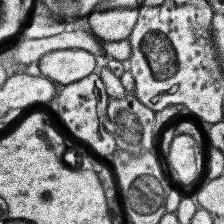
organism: Human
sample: Temporal Lobe